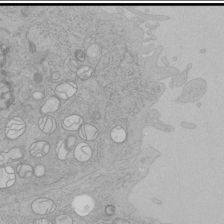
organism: Human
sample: Mitochondria in HCT116 cells